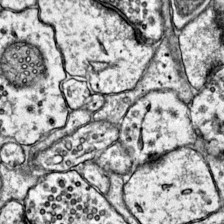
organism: Mouse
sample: Primary visual cortex